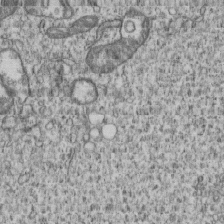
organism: Human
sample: MDA-MB-231 cells